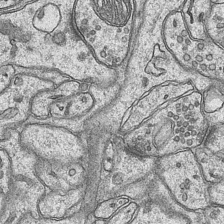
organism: Mouse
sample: CA1 Hippocampus